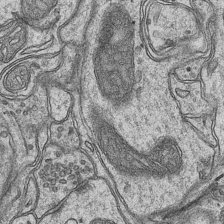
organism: Mouse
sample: CA1 Hippocampus